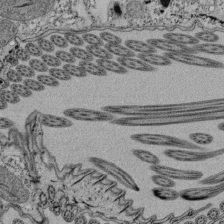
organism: Tetrahymena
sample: Cilia in tetrahymena